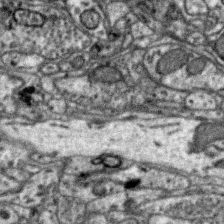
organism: Zebra finch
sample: Brain